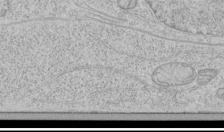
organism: Human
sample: Mitochondria in HCT116 cells